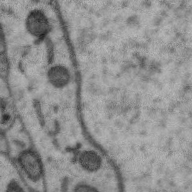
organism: Zebra finch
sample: Brain